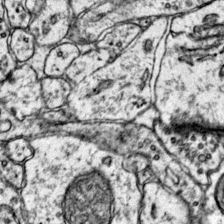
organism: Mouse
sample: Primary visual cortex